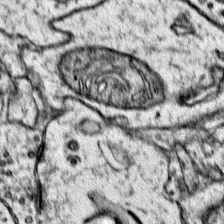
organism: Mouse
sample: Primary visual cortex